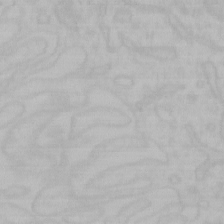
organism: Mouse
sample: Choroid plexus